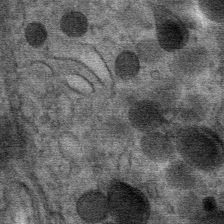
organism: Mouse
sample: Mouse Salivary gland